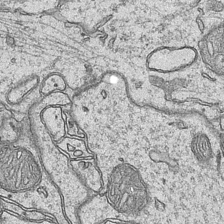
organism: Mouse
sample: CA1 Hippocampus